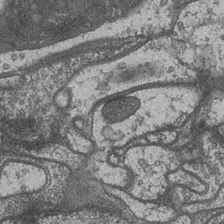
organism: Drosophila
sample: Optic medulla